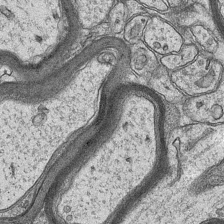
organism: Mouse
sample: CA1 Hippocampus